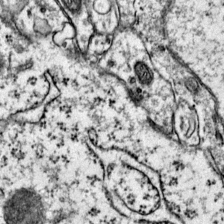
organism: Mouse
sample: Primary visual cortex